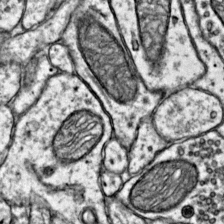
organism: Mouse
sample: Primary visual cortex